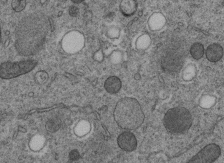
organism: C. elegans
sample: C. elegans embryo early stage